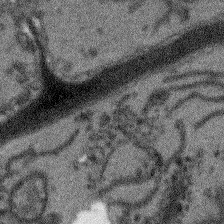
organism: Arabidopsis thaliana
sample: Root tip